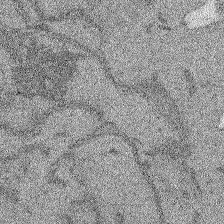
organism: Human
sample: HeLa cells